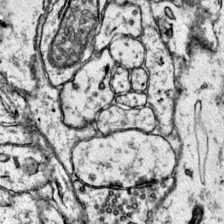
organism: Mouse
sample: Primary visual cortex